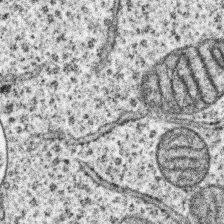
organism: Human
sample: HeLa cells